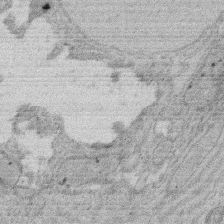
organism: Rat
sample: Salivary granule